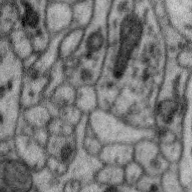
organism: Zebra finch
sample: Brain